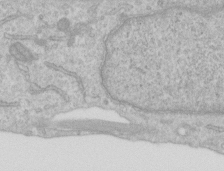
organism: Human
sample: Centriole in RPE cells